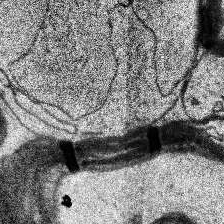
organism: Human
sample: Temporal Lobe